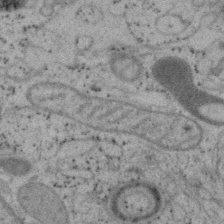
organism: Human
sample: HeLa cells